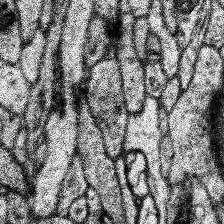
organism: Human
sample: Temporal Lobe